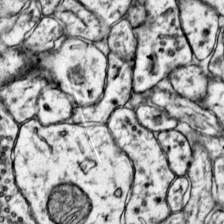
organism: Mouse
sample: Primary visual cortex